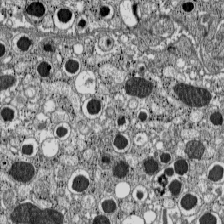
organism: C57BL Mouse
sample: Pancreatic islet